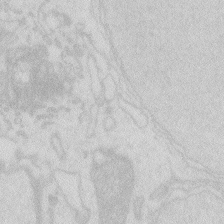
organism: Zebrafish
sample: Macrophage